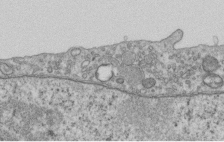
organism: Human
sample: Centriole in RPE cells